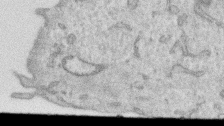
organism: Human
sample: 1205lu cells